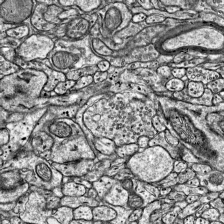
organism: Mouse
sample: Visual Cortex